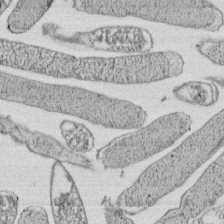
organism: E. coli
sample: Bacterial nucleoid